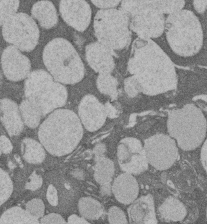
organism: Rat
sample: Salivary granule